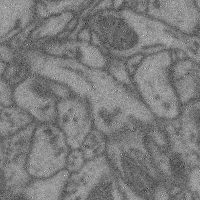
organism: Mouse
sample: Cerebral cortex